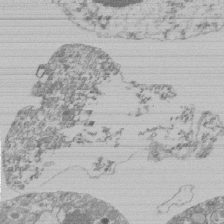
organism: Mouse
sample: Activated Pmel transgenic CD8+ T Cells